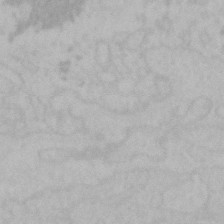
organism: Mouse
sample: Choroid plexus